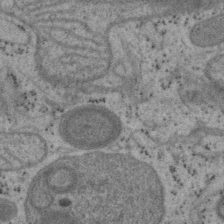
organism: Human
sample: HeLa cells